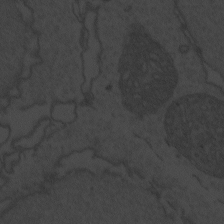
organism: Zebrafish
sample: Macrophage infected with Toxoplasma gondii